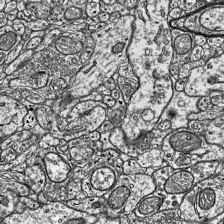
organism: Mouse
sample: Visual Cortex